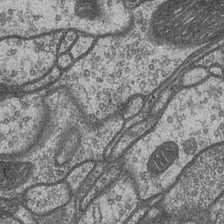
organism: Drosophila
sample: Optic medulla